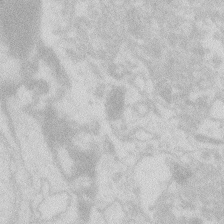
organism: Zebrafish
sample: Macrophage